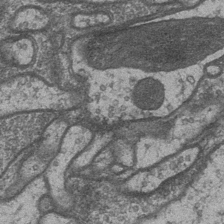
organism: Drosophila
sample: Optic medulla